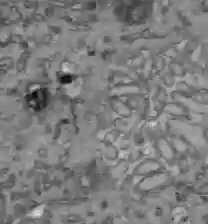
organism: C57BL Mouse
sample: Liver